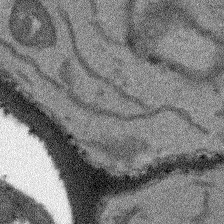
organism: Arabidopsis thaliana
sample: Root tip